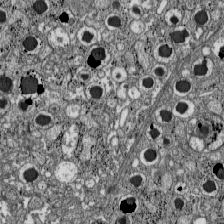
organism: C57BL Mouse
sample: Pancreatic islet